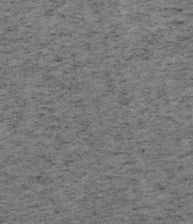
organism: Mouse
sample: OT-I killer T cells with ID8 ovarian cancer cells